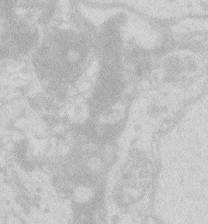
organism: Zebrafish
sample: Macrophage